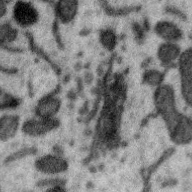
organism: Zebra finch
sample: Brain